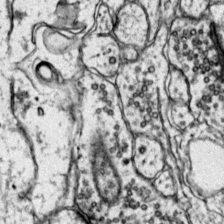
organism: Mouse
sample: Primary visual cortex